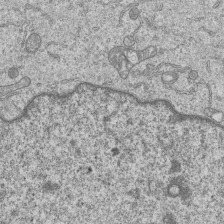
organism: Human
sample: MDA-MB-231 cells